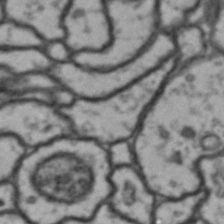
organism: Drosophila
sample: Brain